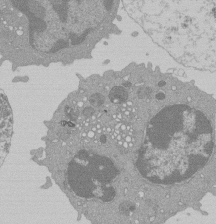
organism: Mouse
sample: Activated Pmel transgenic CD8+ T Cells